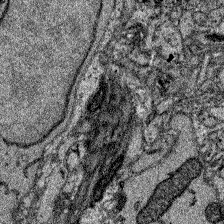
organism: Zebrafish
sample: Larval olfactory bulb